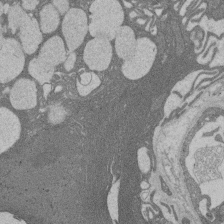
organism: Rat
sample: Salivary granule